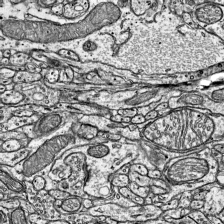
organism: Mouse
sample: Visual Cortex